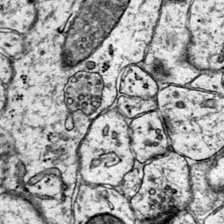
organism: Mouse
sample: Primary visual cortex